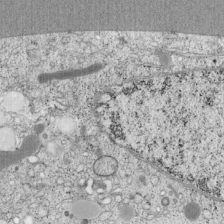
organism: African green monkey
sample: COS-7 cells